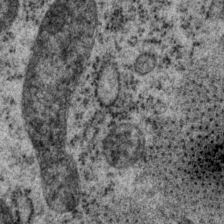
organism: P. pacificus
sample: Pharynx